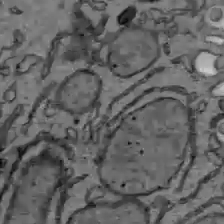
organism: C57BL Mouse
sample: Liver